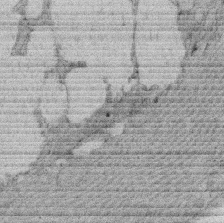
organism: Rat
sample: Salivary granule